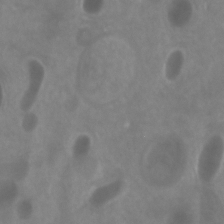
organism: Zebrafish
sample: Zebrafish embryo